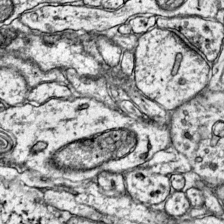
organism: Mouse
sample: Primary visual cortex